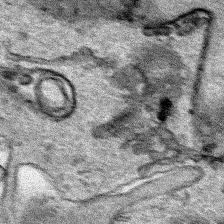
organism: Human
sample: Mitochondria in HCT116 cells